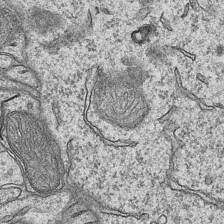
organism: Mouse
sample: CA1 Hippocampus